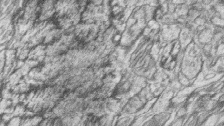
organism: Zebrafish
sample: synaptic ribbons in rod cells and cone cells